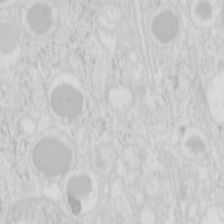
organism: Mouse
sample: Pancreas